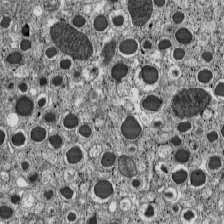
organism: C57BL Mouse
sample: Pancreatic islet